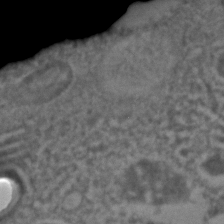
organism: C. elegans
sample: C. elegans embryo